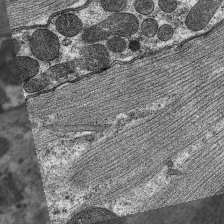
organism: C. elegans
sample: Pharynx